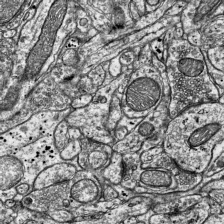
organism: Mouse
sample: Visual Cortex